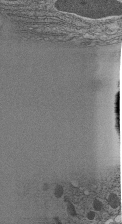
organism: C. elegans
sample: C. elegans pharynx